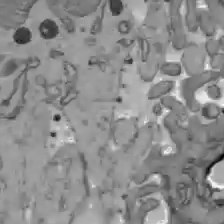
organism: C57BL Mouse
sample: Liver